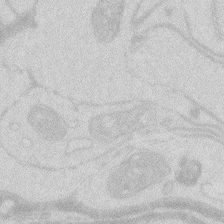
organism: Zebrafish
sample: Macrophage